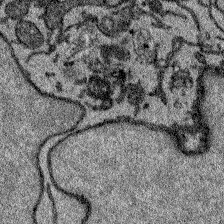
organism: Zebrafish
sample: Larval olfactory bulb